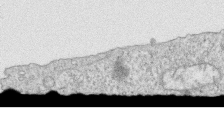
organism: Human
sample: HeLa cell HIV synapse